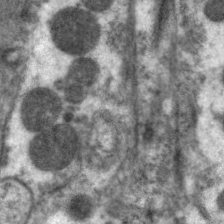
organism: C. elegans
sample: Pharynx